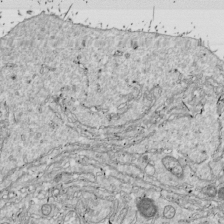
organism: Drosophila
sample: Cell division; meiosis; drosophila spermatocytes